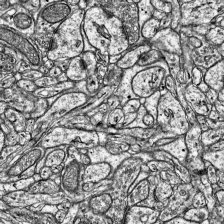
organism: Mouse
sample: Visual Cortex